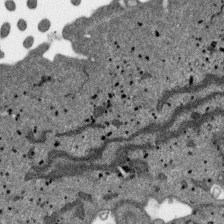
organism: Human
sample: Lung epithelial cells, uninfected (mock) control